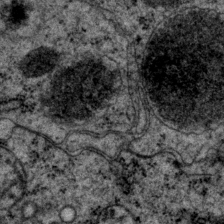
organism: P. pacificus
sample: Pharynx